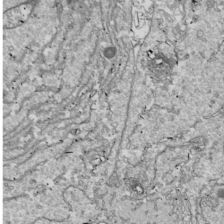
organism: Drosophila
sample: Cell division; meiosis; drosophila spermatocytes